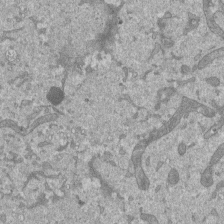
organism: Mouse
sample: ED-1 cell nuclei; centrioles